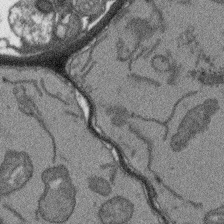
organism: Arabidopsis thaliana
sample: Root tip